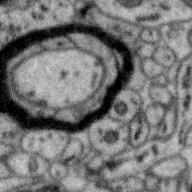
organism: Zebra finch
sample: Brain